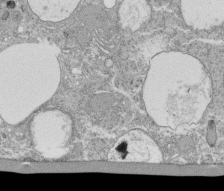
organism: Tetrahymena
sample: Cilia in tetrahymena